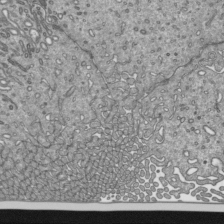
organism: Mouse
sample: Mouse epididymis efferent ductule cilia